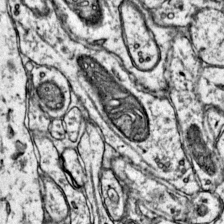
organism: Mouse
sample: Primary visual cortex